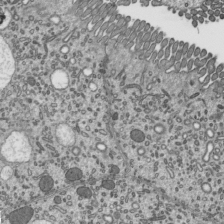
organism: Mouse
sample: Mouse epididymis efferent ductule cilia